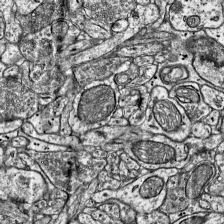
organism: Mouse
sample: Visual Cortex